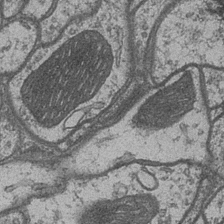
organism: Drosophila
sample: Optic medulla